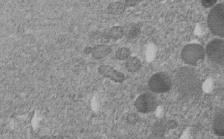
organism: C. elegans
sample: C. elegans embryo early stage